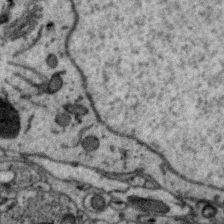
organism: Zebra finch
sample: Brain